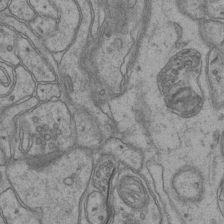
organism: Mouse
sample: CA1 Hippocampus